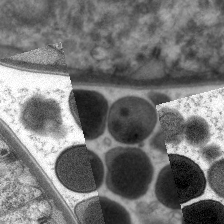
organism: C. elegans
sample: Pharynx